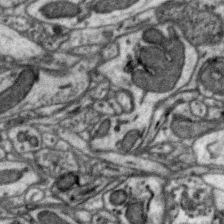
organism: Zebra finch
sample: Brain